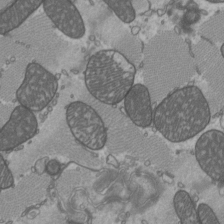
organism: C57BL Mouse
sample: Heart